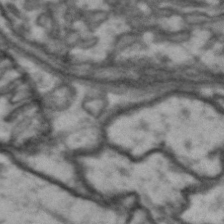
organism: Drosophila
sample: Brain